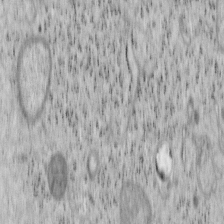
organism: Human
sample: HeLa cells